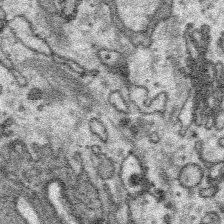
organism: Platynereis dumerilii